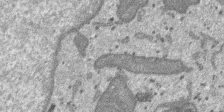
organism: Human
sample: Lung epithelial cells infected with SARS-CoV-2